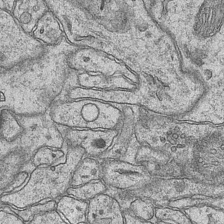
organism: Mouse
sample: CA1 Hippocampus